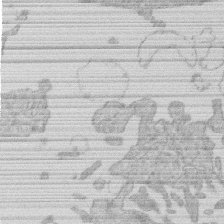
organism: Human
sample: Macrophage cells